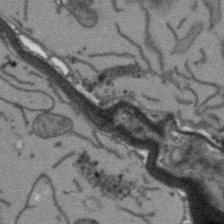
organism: Arabidopsis thaliana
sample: Root tip